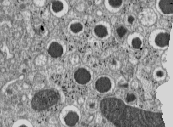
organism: C57BL Mouse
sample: Pancreatic islet